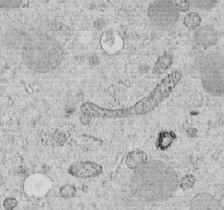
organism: C. elegans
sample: C. elegans embryo early stage